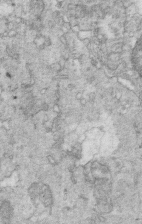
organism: Mouse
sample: Multiciliated cells